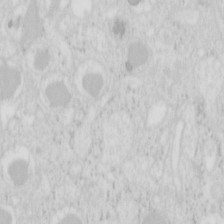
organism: Mouse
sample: Pancreas